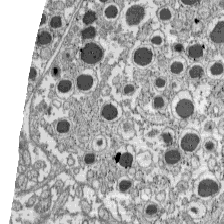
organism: C57BL Mouse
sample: Pancreatic islet